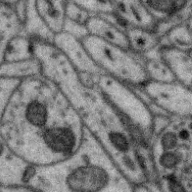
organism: Zebra finch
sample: Brain